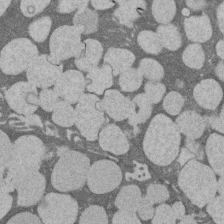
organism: Rat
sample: Salivary granule